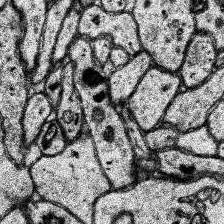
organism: Human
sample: Temporal Lobe